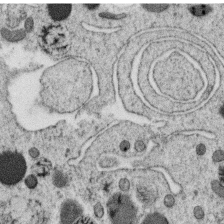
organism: C. elegans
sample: C. elegans oocyte; sperm cells